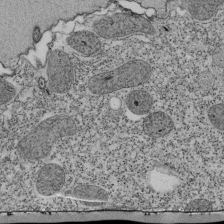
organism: Tetrahymena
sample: Cilia in tetrahymena